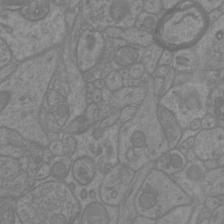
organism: Mouse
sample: Cortical neurons